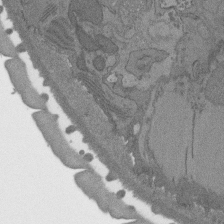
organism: C. elegans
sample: AFD neurons C. elegans